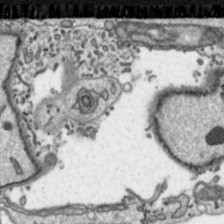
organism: Toxoplasma gondii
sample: Parasites in a vacuole inside a host cell